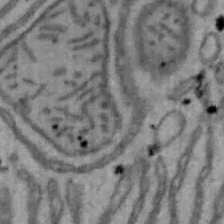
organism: Mouse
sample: Liver